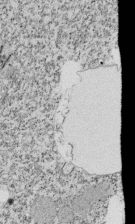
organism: Tetrahymena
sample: Cilia in tetrahymena